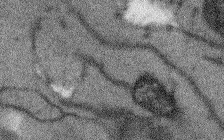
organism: Arabidopsis thaliana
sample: Root tip